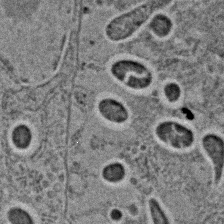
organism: C. elegans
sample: C. elegans embryo